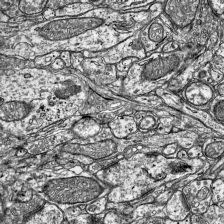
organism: Mouse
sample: Visual Cortex